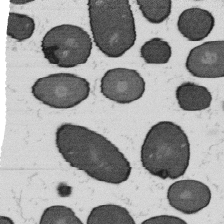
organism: B. subtilis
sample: Bacterial spore